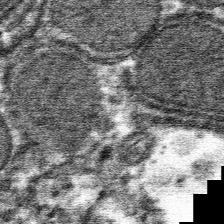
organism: Mouse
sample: Mouse hepatocytes